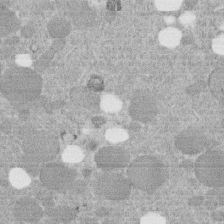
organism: C. elegans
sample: C. elegans embryo early stage